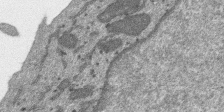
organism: Human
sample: Lung epithelial cells infected with SARS-CoV-2